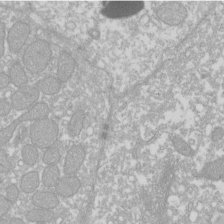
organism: Xenopus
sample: Cilia; centrioles in frog embryo cells